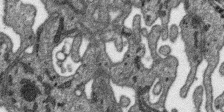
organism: Human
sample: Lung epithelial cells infected with SARS-CoV-2